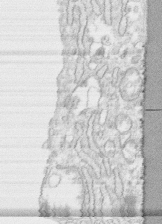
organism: Human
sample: CRL-1474